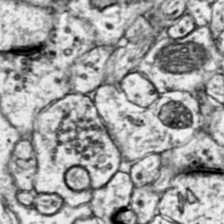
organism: Mouse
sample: Primary visual cortex